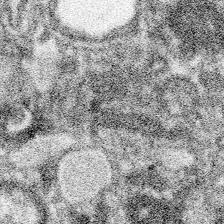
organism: Spongilla lacustris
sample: Neuroid cell